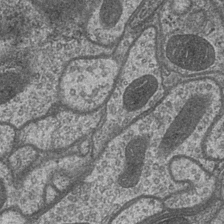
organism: Drosophila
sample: Optic medulla